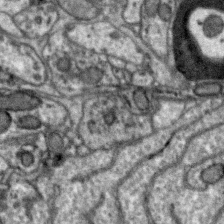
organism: Zebra finch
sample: Brain